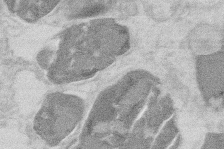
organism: Mouse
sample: T cell stromal cell synapse